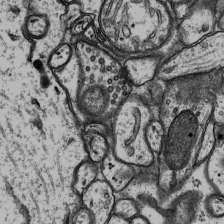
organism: Rat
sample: Hippocampus